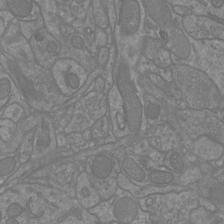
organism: Mouse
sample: Cortical neurons